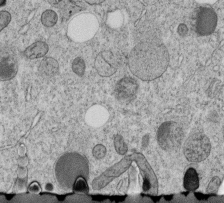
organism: C. elegans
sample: C. elegans embryo early stage